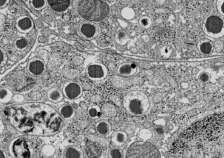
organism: C57BL Mouse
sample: Pancreatic islet